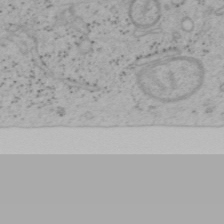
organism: Human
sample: HeLa cells